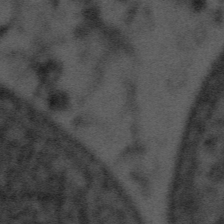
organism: Tuwongella immobilis